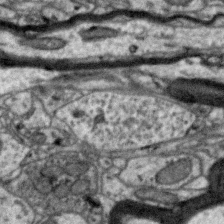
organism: Zebra finch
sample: Brain